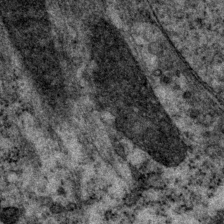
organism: P. pacificus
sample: Pharynx